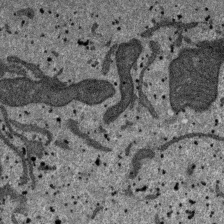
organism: Human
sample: Lung epithelial cells, uninfected (mock) control